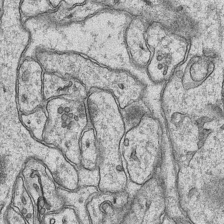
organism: Mouse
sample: CA1 Hippocampus